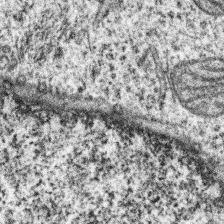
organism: Human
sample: HeLa cells